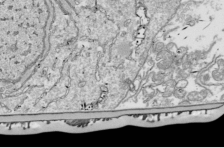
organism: Drosophila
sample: Cell division; meiosis; drosophila spermatocytes